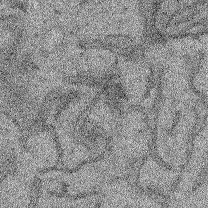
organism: Human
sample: HeLa cells